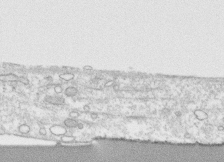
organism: Human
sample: CRL-1474